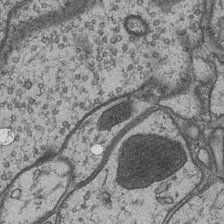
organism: Drosophila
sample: Optic medulla